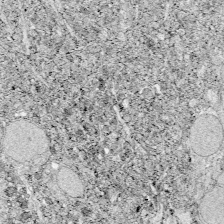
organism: Zebrafish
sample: Whole-Brain